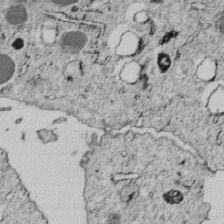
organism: C. elegans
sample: C. elegans embryo early stage